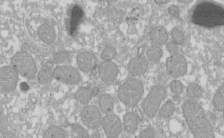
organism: Xenopus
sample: Cilia; centrioles in frog embryo cells